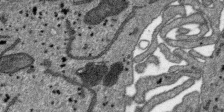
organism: Human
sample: Lung epithelial cells, uninfected (mock) control